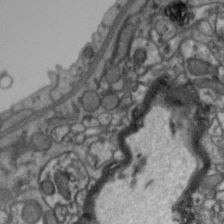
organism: Zebra finch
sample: Brain